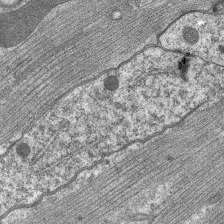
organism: C. elegans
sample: Pharynx